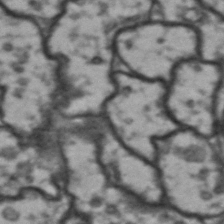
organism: Drosophila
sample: Brain